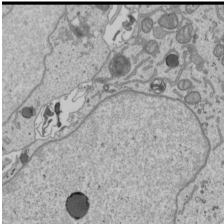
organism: Human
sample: Mitochondria in U2OS cells